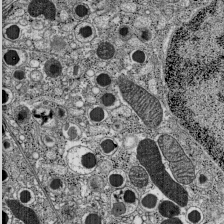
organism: C57BL Mouse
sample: Pancreatic islet